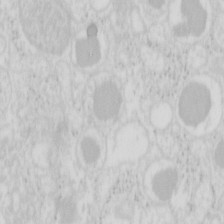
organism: Mouse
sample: Pancreas